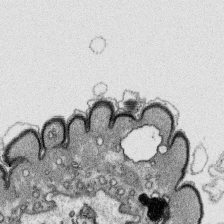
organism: Platynereis dumerilii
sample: Parapodia